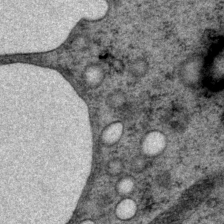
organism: P. pacificus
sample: Pharynx